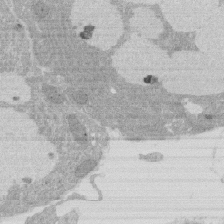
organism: Rat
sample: Salivary granule